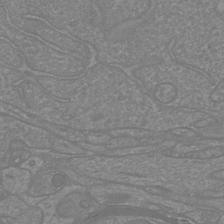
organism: Mouse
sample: Cortical neurons